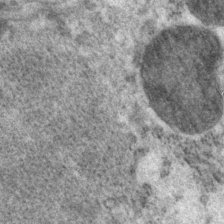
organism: P. pacificus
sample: Pharynx